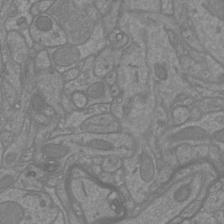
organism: Mouse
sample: Cortical neurons